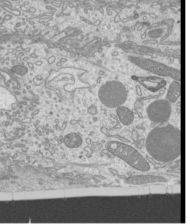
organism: Mouse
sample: Cilia; mouse epididymis